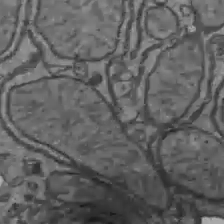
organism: C57BL Mouse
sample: Liver